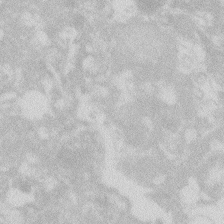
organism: Zebrafish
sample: Macrophage